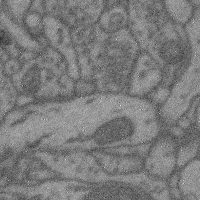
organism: Mouse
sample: Cerebral cortex